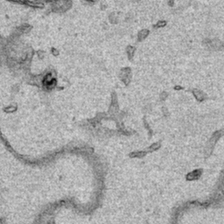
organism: Human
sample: Mitochondria in HCT116 cells